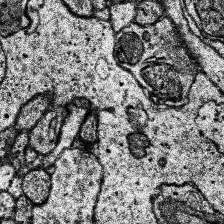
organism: Human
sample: Temporal Lobe